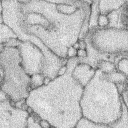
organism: Rabbit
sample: Retina